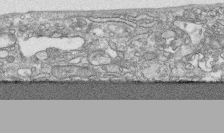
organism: Human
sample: CRL-1474